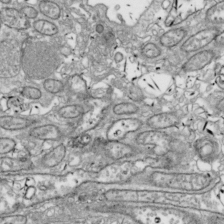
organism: Drosophila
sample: Cell division; meiosis; drosophila spermatocytes